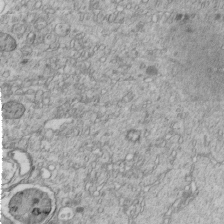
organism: C. elegans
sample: C. elegans embryo early stage